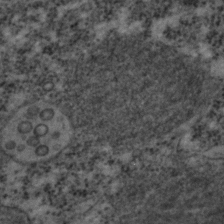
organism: C. elegans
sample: C. elegans embryo